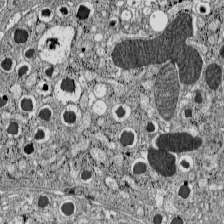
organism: C57BL Mouse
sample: Pancreatic islet